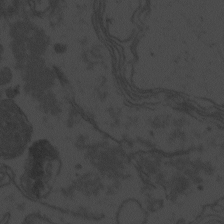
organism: Zebrafish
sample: Macrophage infected with Toxoplasma gondii